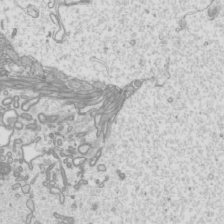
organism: Mouse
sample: Cilia; mouse epididymis